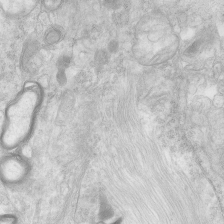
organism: Human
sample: Neocortex